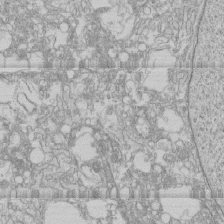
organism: Human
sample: CRL-1474